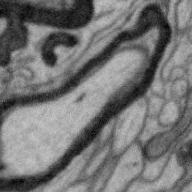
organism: Zebra finch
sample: Brain